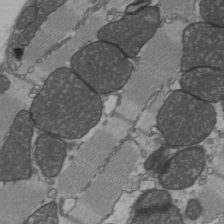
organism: C57BL Mouse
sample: Heart